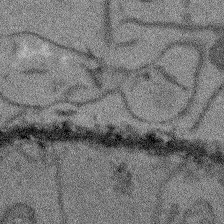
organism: Arabidopsis thaliana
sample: Root tip